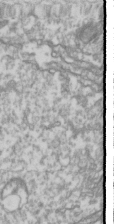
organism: Drosophila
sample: Cell division; meiosis; drosophila spermatocytes